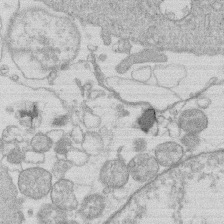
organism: Human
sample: Macrophage cells